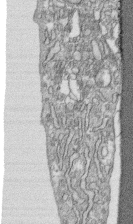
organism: Human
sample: CRL-1474